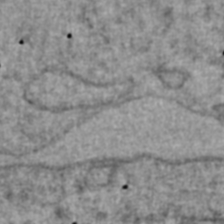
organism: Human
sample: Blood